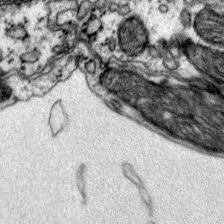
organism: Mouse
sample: Primary visual cortex